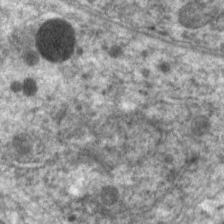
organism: C. elegans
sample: Pharynx